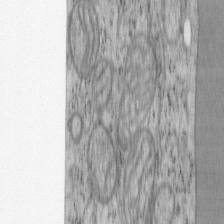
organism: Human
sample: HeLa cells